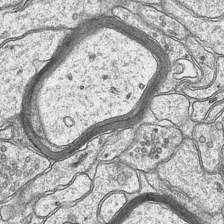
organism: Mouse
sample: CA1 Hippocampus